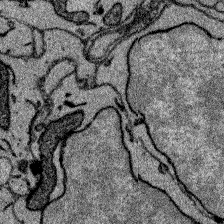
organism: Zebrafish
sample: Larval olfactory bulb